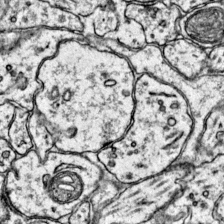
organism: Mouse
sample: Primary visual cortex